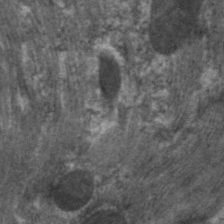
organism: C. elegans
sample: Pharynx